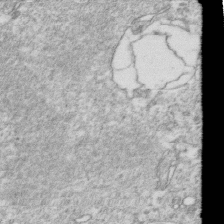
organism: Mouse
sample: Activated OT-1 CD8+ T cells